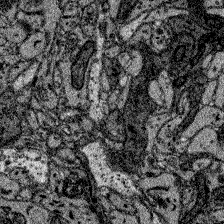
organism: Zebrafish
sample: Larval olfactory bulb